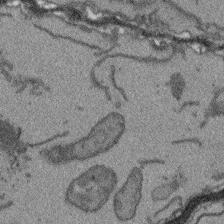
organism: Arabidopsis thaliana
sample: Root tip